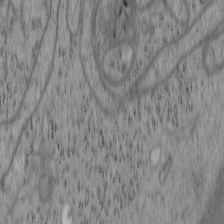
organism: Human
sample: HeLa cells